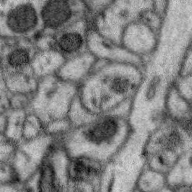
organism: Zebra finch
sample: Brain